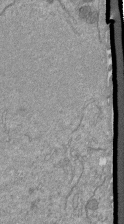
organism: Mouse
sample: ED-1 cell nuclei; centrioles